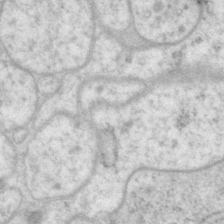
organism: P. pacificus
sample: Pharynx